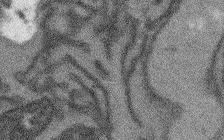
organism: Arabidopsis thaliana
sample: Root tip